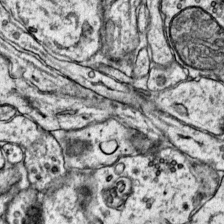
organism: Mouse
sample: Primary visual cortex